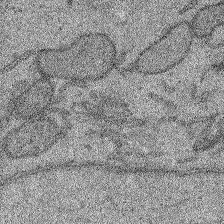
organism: Human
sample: HeLa cells